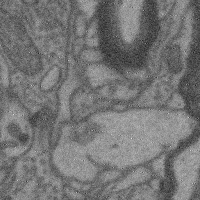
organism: Mouse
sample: Cerebral cortex